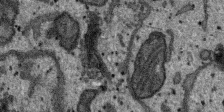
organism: Human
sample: Lung epithelial cells, uninfected (mock) control